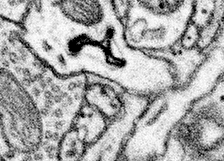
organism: Mouse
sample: Somatosensory cortex neuropil